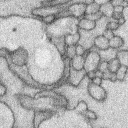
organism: Rabbit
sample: Retina